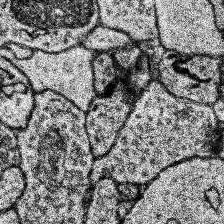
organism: Human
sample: Temporal Lobe